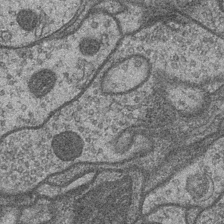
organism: Drosophila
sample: Optic medulla